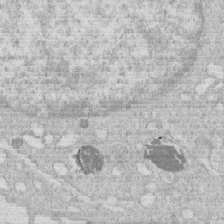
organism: Human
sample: Macrophage cells